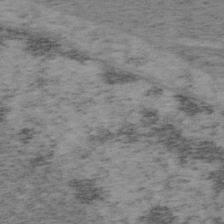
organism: Mouse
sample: OT-I killer T cells with ID8 ovarian cancer cells